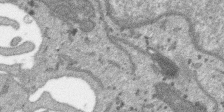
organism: Human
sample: Lung epithelial cells infected with SARS-CoV-2